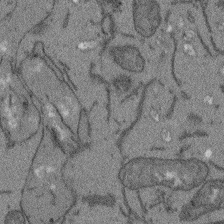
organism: Arabidopsis thaliana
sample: Root tip